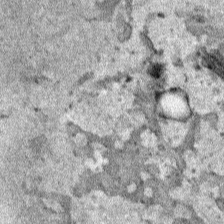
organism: Human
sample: Mitochondria in HCT116 cells